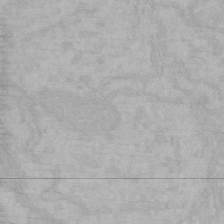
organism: Mouse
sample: Choroid plexus